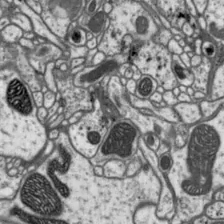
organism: Drosophila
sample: Protocerebral bridge